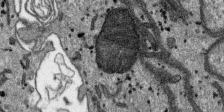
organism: Human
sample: Lung epithelial cells, uninfected (mock) control